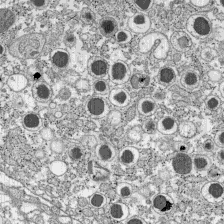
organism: C57BL Mouse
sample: Pancreatic islet